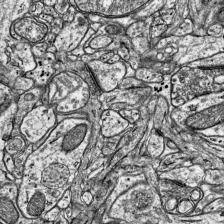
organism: Mouse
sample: Visual Cortex